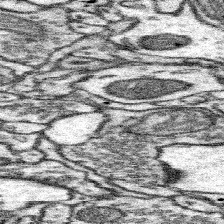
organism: Mouse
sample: Somatosensory cortex neuropil